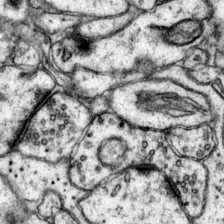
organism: Mouse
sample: Primary visual cortex